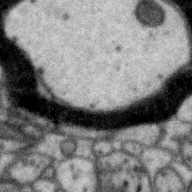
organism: Zebra finch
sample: Brain